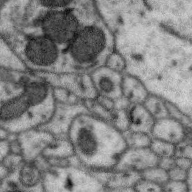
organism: Zebra finch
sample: Brain